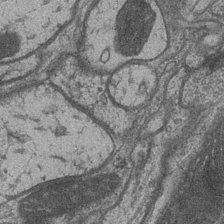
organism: Drosophila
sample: Optic medulla